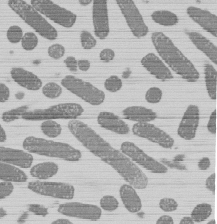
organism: E. coli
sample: Bacterial nucleoid